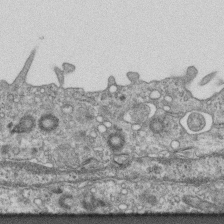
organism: Mouse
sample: Centriole in ependymal cells